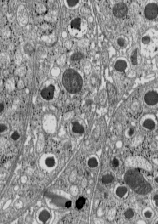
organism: C57BL Mouse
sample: Pancreatic islet